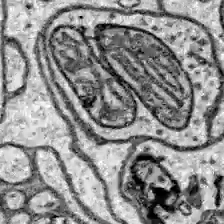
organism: Zebrafish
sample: Brain